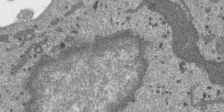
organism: Human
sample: Lung epithelial cells infected with SARS-CoV-2